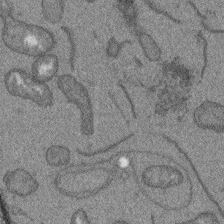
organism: Arabidopsis thaliana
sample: Root tip